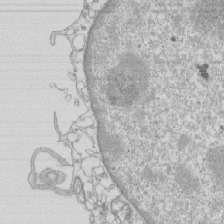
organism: Mouse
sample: Macrophages